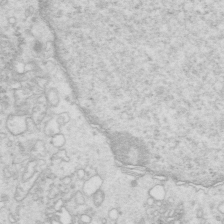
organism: Mouse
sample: Multiciliated cells